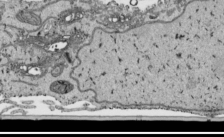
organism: Human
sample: Mitochondria in HCT116 cells